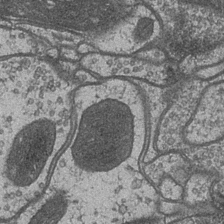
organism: Drosophila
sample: Optic medulla